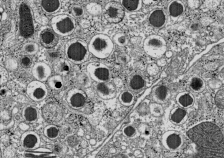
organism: C57BL Mouse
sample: Pancreatic islet